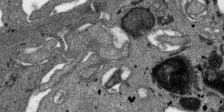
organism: Human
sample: Lung epithelial cells, uninfected (mock) control